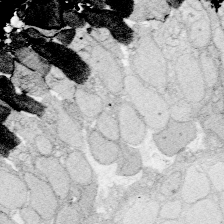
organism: Zebrafish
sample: Whole-Brain